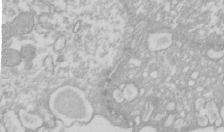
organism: Xenopus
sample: Cilia; centrioles in frog embryo cells